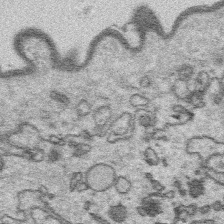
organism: Platynereis dumerilii